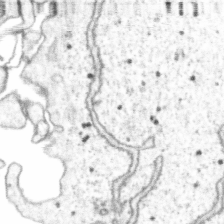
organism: Human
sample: HeLa cells